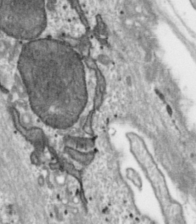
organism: Toxoplasma gondii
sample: Parasites in a vacuole inside a host cell